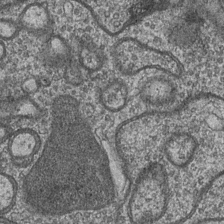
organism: Drosophila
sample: Optic medulla